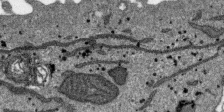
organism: Human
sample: Lung epithelial cells, uninfected (mock) control